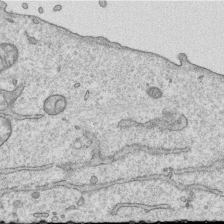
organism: Human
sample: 1205lu cells